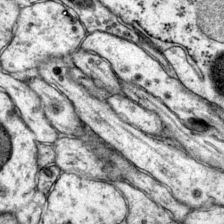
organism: Mouse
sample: Primary visual cortex